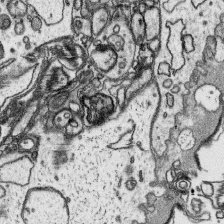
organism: Platynereis dumerilii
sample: Parapodia